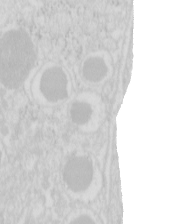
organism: Mouse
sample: Pancreas